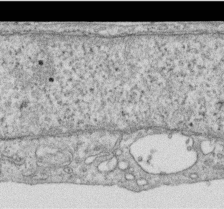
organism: Human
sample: Centriole in RPE cells